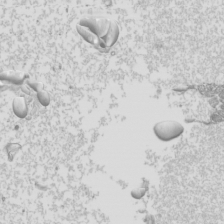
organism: Mouse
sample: Cilia; mouse epididymis